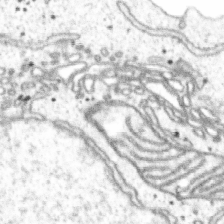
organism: Human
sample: HeLa cells